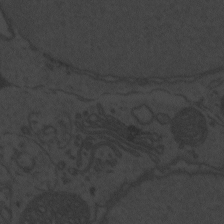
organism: Zebrafish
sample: Macrophage infected with Toxoplasma gondii